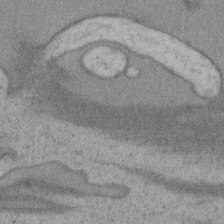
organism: Human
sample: HeLa cells